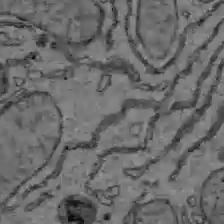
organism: C57BL Mouse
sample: Liver